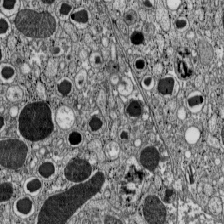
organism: C57BL Mouse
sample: Pancreatic islet